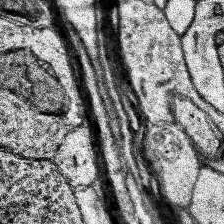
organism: Human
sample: Temporal Lobe